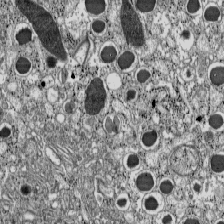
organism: C57BL Mouse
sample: Pancreatic islet